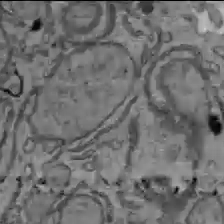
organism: C57BL Mouse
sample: Liver